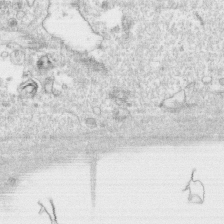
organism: Human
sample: CRL-1474